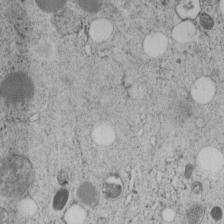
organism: C. elegans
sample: C. elegans embryo early stage